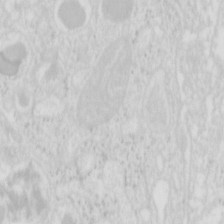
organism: Mouse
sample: Pancreas